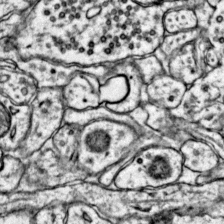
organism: Mouse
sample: Primary visual cortex